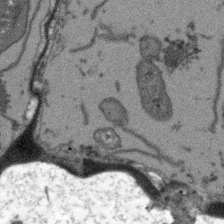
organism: Arabidopsis thaliana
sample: Root tip